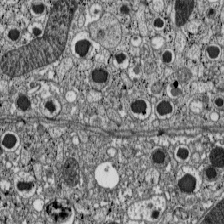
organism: C57BL Mouse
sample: Pancreatic islet